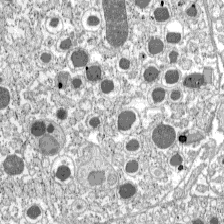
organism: C57BL Mouse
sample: Pancreatic islet